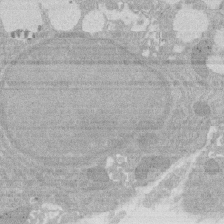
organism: Rat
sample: Salivary granule